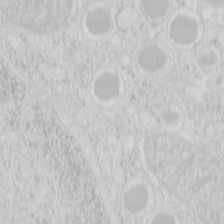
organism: Mouse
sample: Pancreas